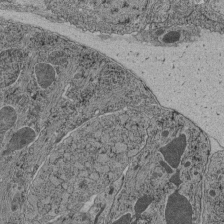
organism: C. elegans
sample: C. elegans pharynx